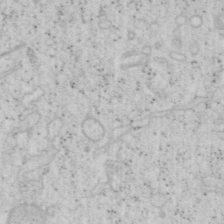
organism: Human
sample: HeLa cells